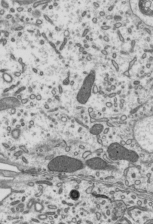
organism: Mouse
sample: Mouse epididymis efferent ductule cilia